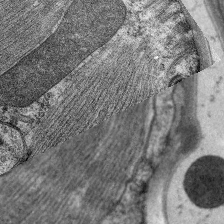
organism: C. elegans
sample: Pharynx